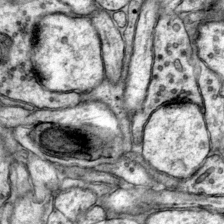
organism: Mouse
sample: Primary visual cortex